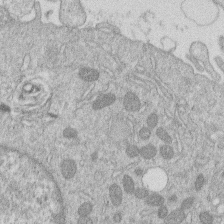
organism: Human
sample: Macrophage cells